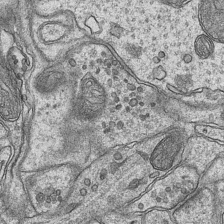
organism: Mouse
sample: CA1 Hippocampus